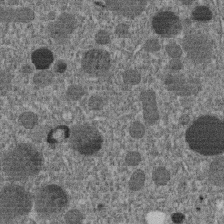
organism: C. elegans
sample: C. elegans embryo early stage